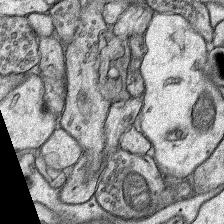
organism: Rat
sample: Hippocampus